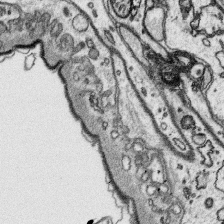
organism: Platynereis dumerilii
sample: Parapodia